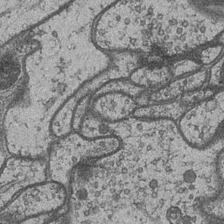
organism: Drosophila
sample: Optic medulla